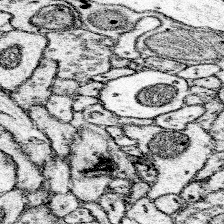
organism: Mouse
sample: Somatosensory cortex neuropil